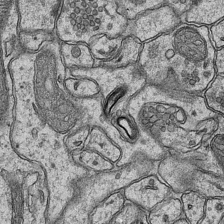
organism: Mouse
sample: CA1 Hippocampus